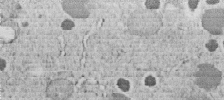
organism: C. elegans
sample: C. elegans embryo early stage